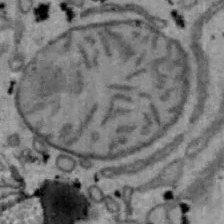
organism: Mouse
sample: Liver